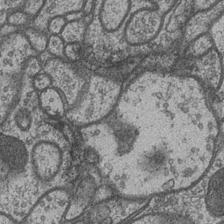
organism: Drosophila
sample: Optic medulla